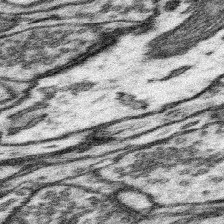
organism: Mouse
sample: Somatosensory cortex neuropil